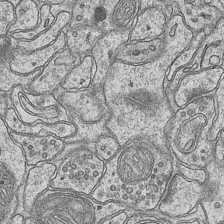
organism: Mouse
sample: CA1 Hippocampus